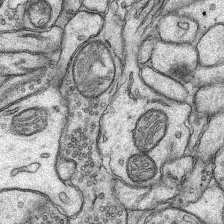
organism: Rat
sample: Hippocampus